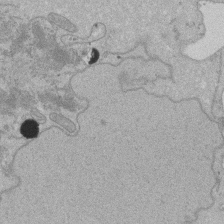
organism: Human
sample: Activated Jurkat CD4+ T cells